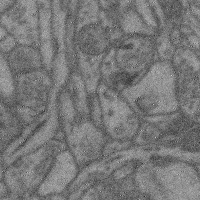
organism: Mouse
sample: Cerebral cortex